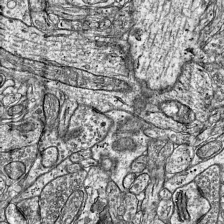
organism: Mouse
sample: Visual Cortex